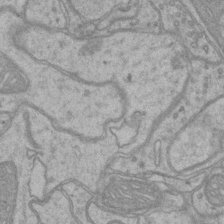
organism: Mouse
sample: CA1 Hippocampus